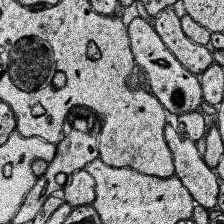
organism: Human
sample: Temporal Lobe